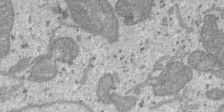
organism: Human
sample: Lung epithelial cells infected with SARS-CoV-2